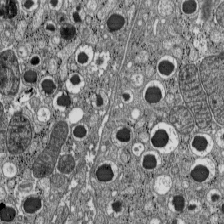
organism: C57BL Mouse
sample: Pancreatic islet